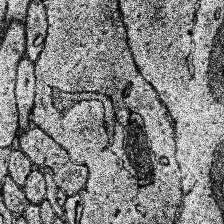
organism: Human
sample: Temporal Lobe